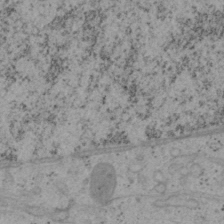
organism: Human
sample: HeLa cells